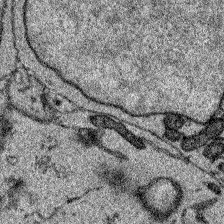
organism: Zebrafish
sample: Larval olfactory bulb